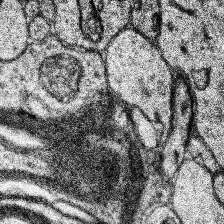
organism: Human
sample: Temporal Lobe